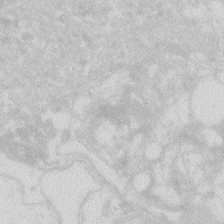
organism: Zebrafish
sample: Macrophage